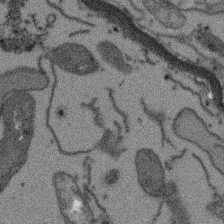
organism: Arabidopsis thaliana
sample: Root tip